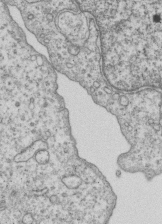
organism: Human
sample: MDA-MB-231 cells